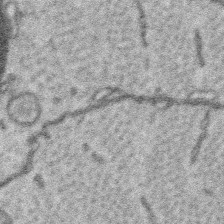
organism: Platynereis dumerilii